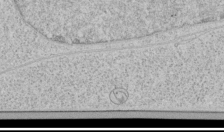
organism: Human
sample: Mitochondria in HCT116 cells